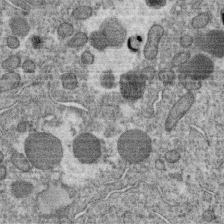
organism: C. elegans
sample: C. elegans oocyte; sperm cells